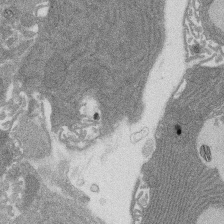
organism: Rat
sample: Salivary granule